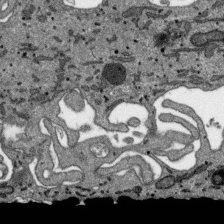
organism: Human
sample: Lung epithelial cells, uninfected (mock) control